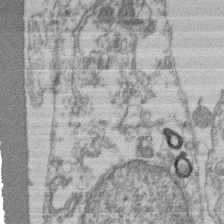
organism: Mouse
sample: T cell stromal cell synapse